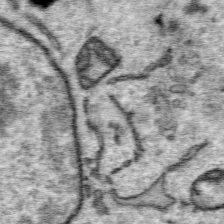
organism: Human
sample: HeLa cells